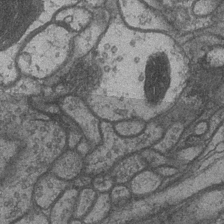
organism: Drosophila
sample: Optic medulla